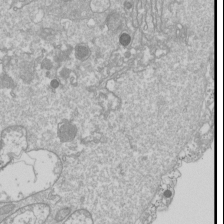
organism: Drosophila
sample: Cell division; meiosis; drosophila spermatocytes